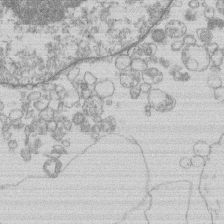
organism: Human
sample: Macrophage cells